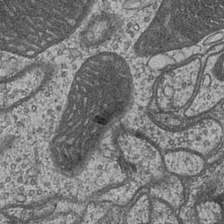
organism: Drosophila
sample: Optic medulla